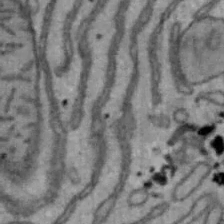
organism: Mouse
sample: Liver